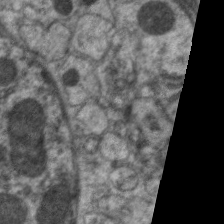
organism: C. elegans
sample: Pharynx